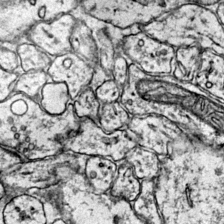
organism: Mouse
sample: Primary visual cortex